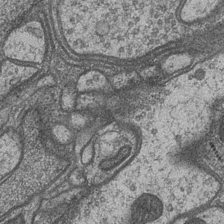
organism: Drosophila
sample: Optic medulla